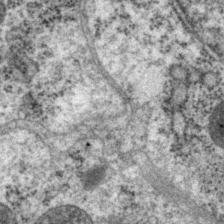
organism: P. pacificus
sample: Pharynx